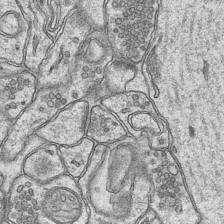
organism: Mouse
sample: CA1 Hippocampus